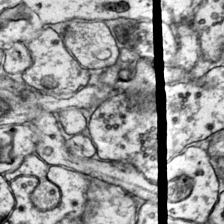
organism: Mouse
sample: Primary visual cortex